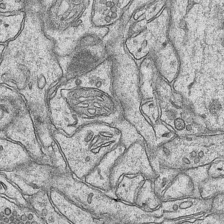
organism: Mouse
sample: CA1 Hippocampus